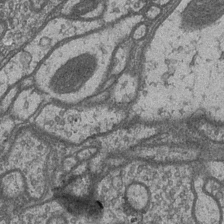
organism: Drosophila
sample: Optic medulla